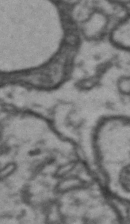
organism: Drosophila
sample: Brain